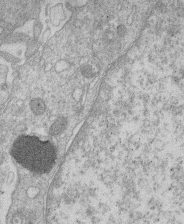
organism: Human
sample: Macrophage cells